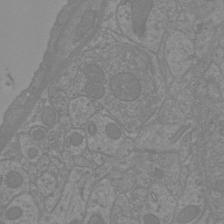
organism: Mouse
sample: Cortical neurons